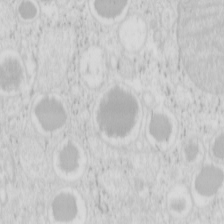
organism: Mouse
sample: Pancreas